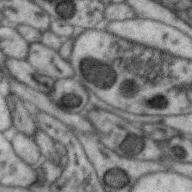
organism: Zebra finch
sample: Brain